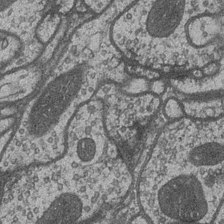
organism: Drosophila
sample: Optic medulla